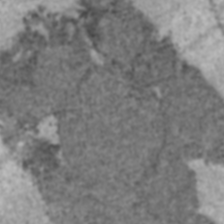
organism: C57BL Mouse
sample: Heart